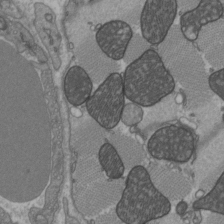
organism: C57BL Mouse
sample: Heart